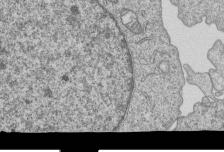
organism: Human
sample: MDA-MB-231 cells